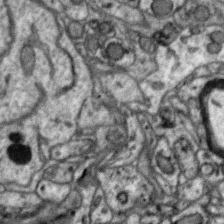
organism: Zebra finch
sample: Brain